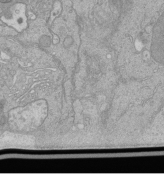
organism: Human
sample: Retinal organoid Rod and Cone cells